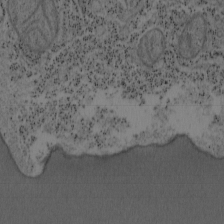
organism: Mouse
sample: OT-I killer T cells with ID8 ovarian cancer cells